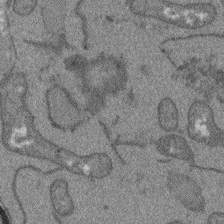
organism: Arabidopsis thaliana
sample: Root tip